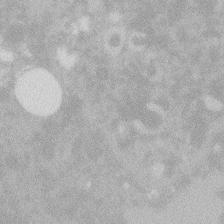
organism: Zebrafish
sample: Macrophage